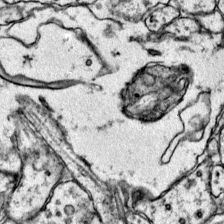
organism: Mouse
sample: Primary visual cortex